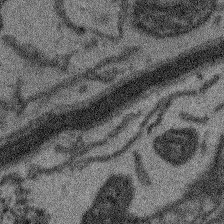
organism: Arabidopsis thaliana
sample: Root tip